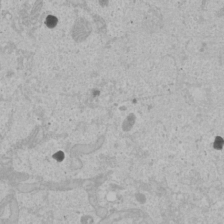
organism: Human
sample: Mitochondria in U2OS cells